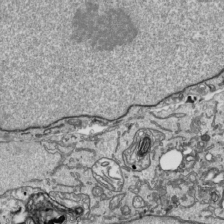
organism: Human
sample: Mitochondria in HCT116 cells